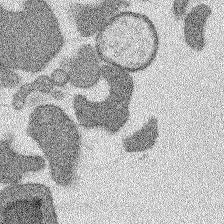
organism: Human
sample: HeLa cells